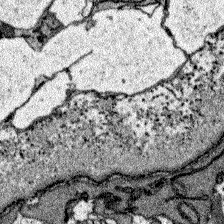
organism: Zebrafish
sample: Larval olfactory bulb